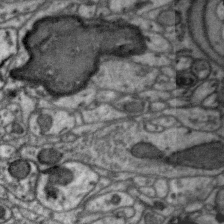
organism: Zebra finch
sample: Brain